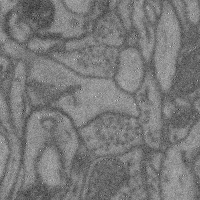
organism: Mouse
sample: Cerebral cortex